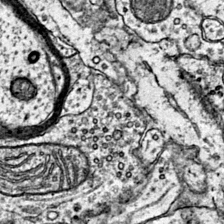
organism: Mouse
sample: Primary visual cortex